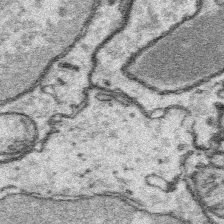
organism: Platynereis dumerilii